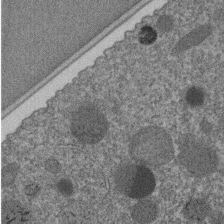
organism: C. elegans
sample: C. elegans embryo early stage